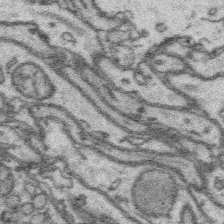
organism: Platynereis dumerilii